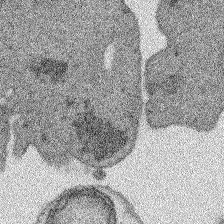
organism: Human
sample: HeLa cells